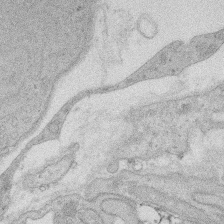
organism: Rat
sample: Salivary granule